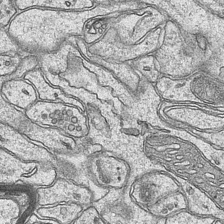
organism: Mouse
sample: CA1 Hippocampus